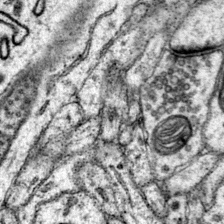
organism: Mouse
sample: Primary visual cortex